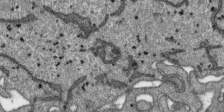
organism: Human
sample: Lung epithelial cells, uninfected (mock) control